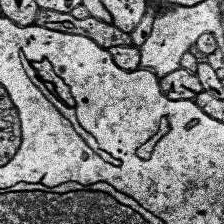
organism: Human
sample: Temporal Lobe